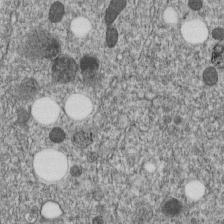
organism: C. elegans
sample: C. elegans embryo early stage